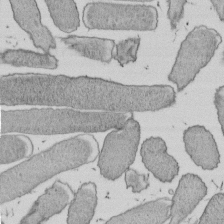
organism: E. coli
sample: Bacterial nucleoid